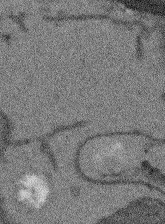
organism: Arabidopsis thaliana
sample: Root tip